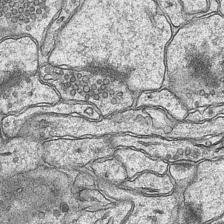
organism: Mouse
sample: CA1 Hippocampus